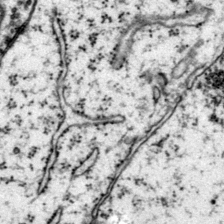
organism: Mouse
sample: Primary visual cortex